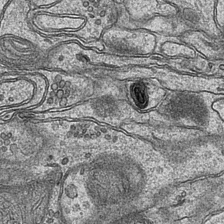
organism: Mouse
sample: CA1 Hippocampus